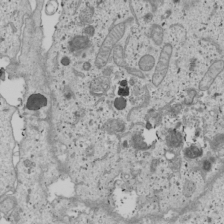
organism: Human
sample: Mitochondria in U2OS cells